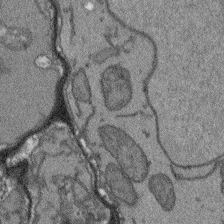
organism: Arabidopsis thaliana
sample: Root tip